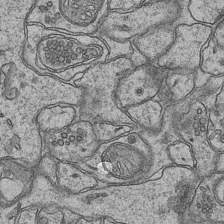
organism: Mouse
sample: CA1 Hippocampus